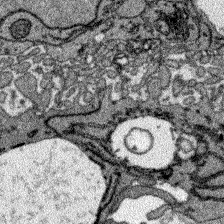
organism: Zebrafish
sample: Larval olfactory bulb